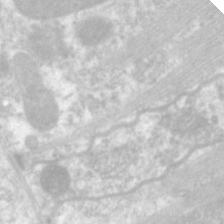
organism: C. elegans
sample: Pharynx